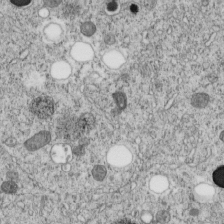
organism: C. elegans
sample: C. elegans embryo early stage